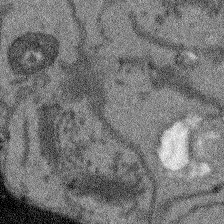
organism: Arabidopsis thaliana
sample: Root tip